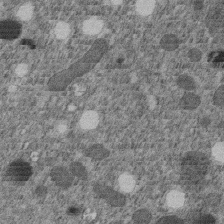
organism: C. elegans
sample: C. elegans embryo early stage